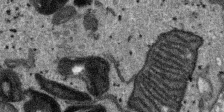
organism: Human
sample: Lung epithelial cells, uninfected (mock) control